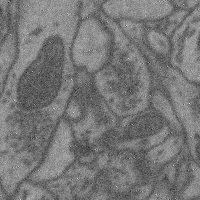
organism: Mouse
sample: Cerebral cortex